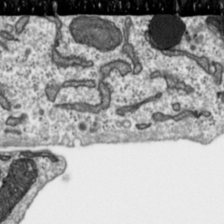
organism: Toxoplasma gondii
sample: Parasites in a vacuole inside a host cell